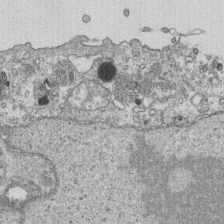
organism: Human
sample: HeLa cell HIV synapse